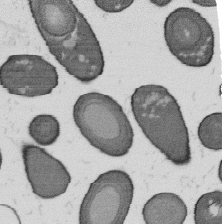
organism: B. subtilis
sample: Bacterial spore